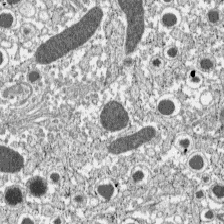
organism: C57BL Mouse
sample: Pancreatic islet